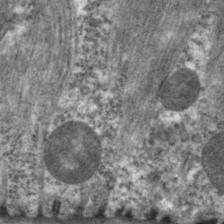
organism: C. elegans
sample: Pharynx